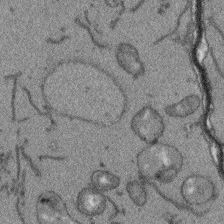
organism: Arabidopsis thaliana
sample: Root tip